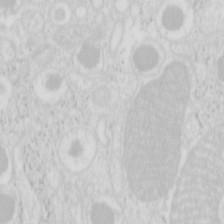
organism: Mouse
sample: Pancreas